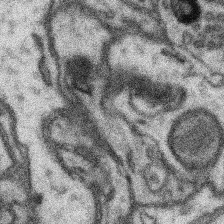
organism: Mouse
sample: Somatosensory cortex neuropil